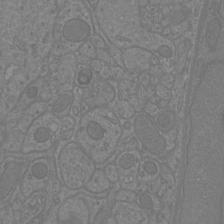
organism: Mouse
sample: Cortical neurons